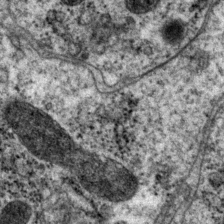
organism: P. pacificus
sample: Pharynx